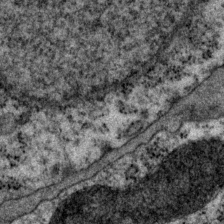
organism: P. pacificus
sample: Pharynx